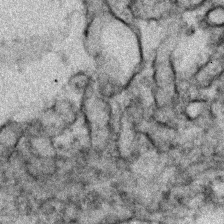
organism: Zebrafish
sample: Zebrafish embryo